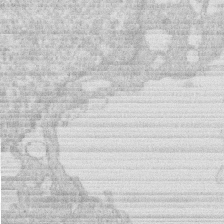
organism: Human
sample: Macrophage cells